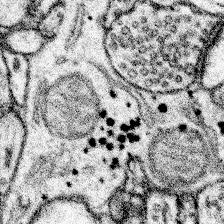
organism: Mouse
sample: Somatosensory cortex neuropil